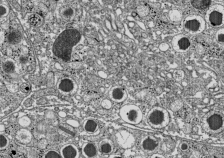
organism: C57BL Mouse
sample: Pancreatic islet